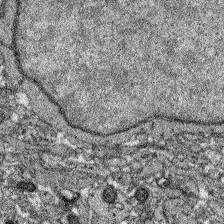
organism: Zebrafish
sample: Larval olfactory bulb